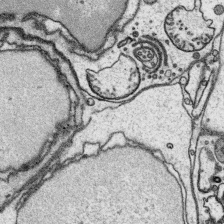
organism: Platynereis dumerilii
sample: Parapodia